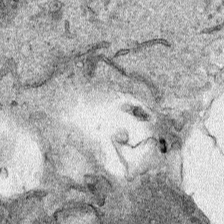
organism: Human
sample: Mitochondria in HCT116 cells